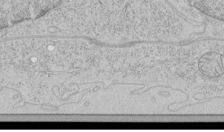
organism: Human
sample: Mitochondria in HCT116 cells